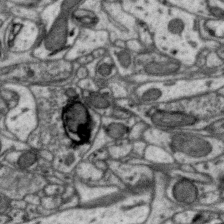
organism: Zebra finch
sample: Brain